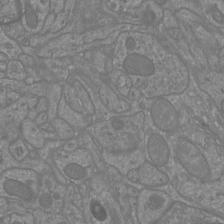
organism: Mouse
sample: Cortical neurons